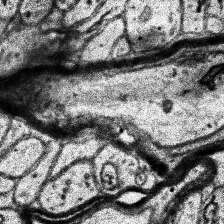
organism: Human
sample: Temporal Lobe